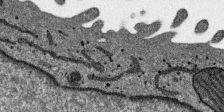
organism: Human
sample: Lung epithelial cells, uninfected (mock) control